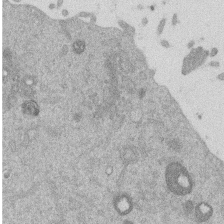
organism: Mouse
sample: Dividing mouse embryo 1 cell stage